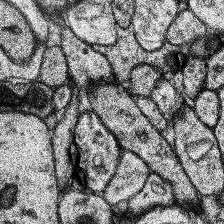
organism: Human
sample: Temporal Lobe